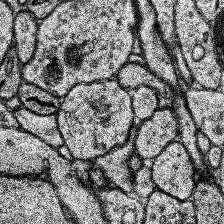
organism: Human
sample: Temporal Lobe